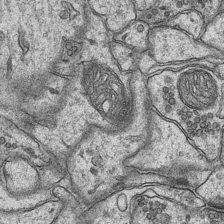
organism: Mouse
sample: CA1 Hippocampus